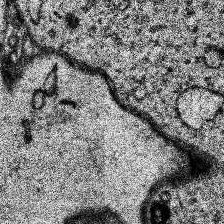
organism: Human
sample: Temporal Lobe